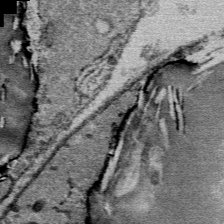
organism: Mouse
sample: Mouse Salivary gland